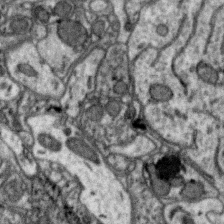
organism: Zebra finch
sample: Brain